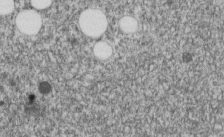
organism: C. elegans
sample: C. elegans embryo early stage